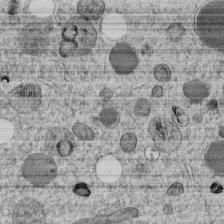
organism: C. elegans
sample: C. elegans embryo early stage